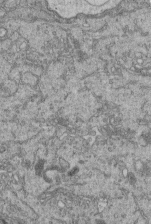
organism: Human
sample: Retinal organoid Rod and Cone cells